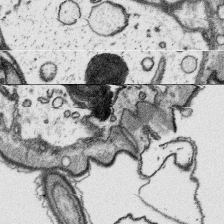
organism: Platynereis dumerilii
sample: Parapodia